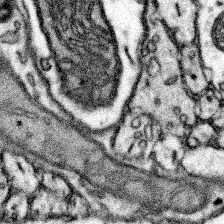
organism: Mouse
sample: Somatosensory cortex neuropil